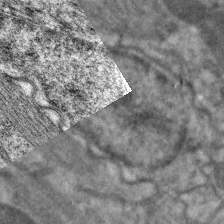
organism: C. elegans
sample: Pharynx